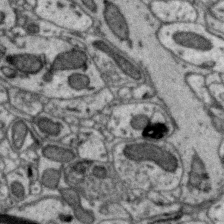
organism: Zebra finch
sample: Brain